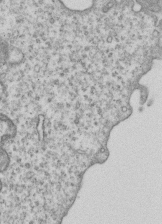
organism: Human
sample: MDA-MB-231 cells